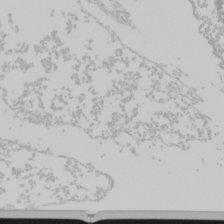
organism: Mouse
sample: Cancer cell death in ED-1 cells